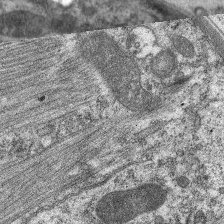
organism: C. elegans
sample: Pharynx